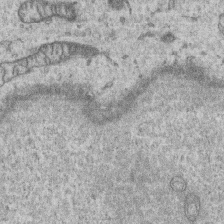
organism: Human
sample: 1205lu cells